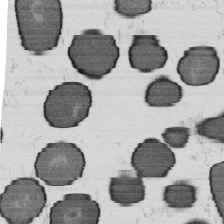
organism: B. subtilis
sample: Bacterial spore